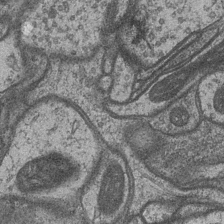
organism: Drosophila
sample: Optic medulla